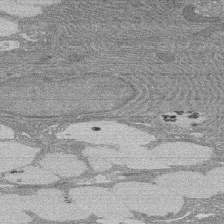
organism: Rat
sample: Salivary granule